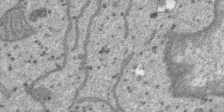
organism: Human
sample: Lung epithelial cells infected with SARS-CoV-2